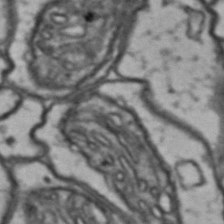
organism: Drosophila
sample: Brain